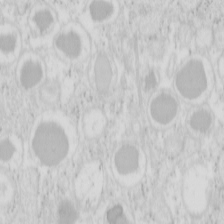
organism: Mouse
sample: Pancreas